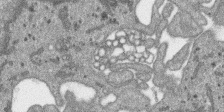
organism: Human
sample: Lung epithelial cells infected with SARS-CoV-2